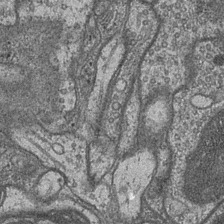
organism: Drosophila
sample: Optic medulla